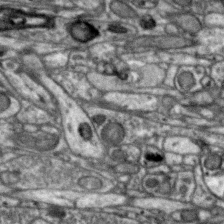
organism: Zebra finch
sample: Brain